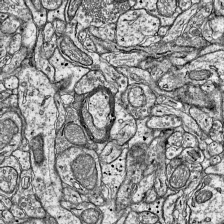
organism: Mouse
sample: Visual Cortex